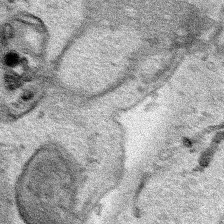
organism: Human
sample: Mitochondria in HCT116 cells